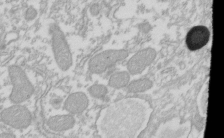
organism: Xenopus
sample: Cilia; centrioles in frog embryo cells